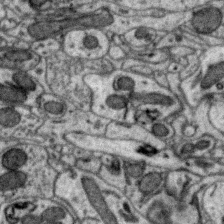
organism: Zebra finch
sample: Brain